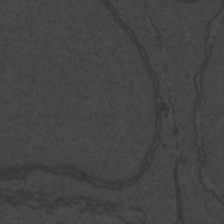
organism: Zebrafish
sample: Macrophage infected with Toxoplasma gondii